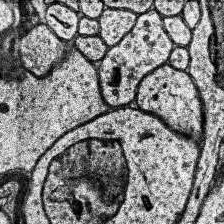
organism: Human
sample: Temporal Lobe